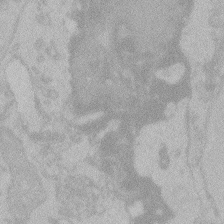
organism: Zebrafish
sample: Macrophage infected with Toxoplasma gondii